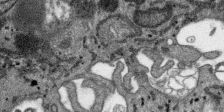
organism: Human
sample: Lung epithelial cells, uninfected (mock) control